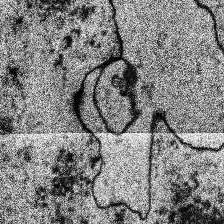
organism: Human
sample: Temporal Lobe